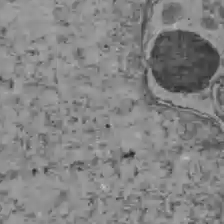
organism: C57BL Mouse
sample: Liver